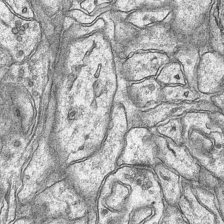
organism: Mouse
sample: CA1 Hippocampus